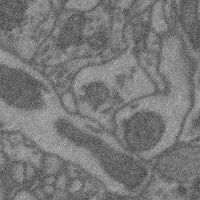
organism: Mouse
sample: Cerebral cortex